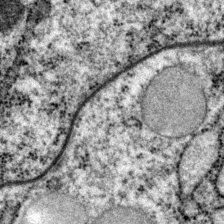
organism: P. pacificus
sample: Pharynx